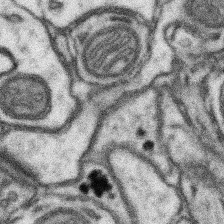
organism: Mouse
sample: Somatosensory cortex neuropil